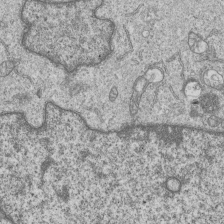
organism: Human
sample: MDA-MB-231 cells